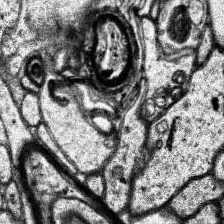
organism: Human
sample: Temporal Lobe